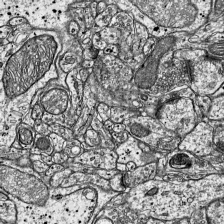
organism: Mouse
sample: Visual Cortex